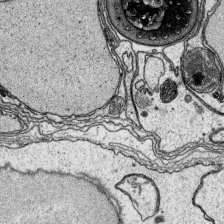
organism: Platynereis dumerilii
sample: Parapodia